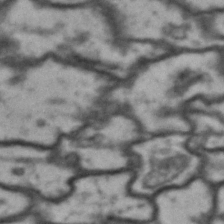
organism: Drosophila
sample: Brain